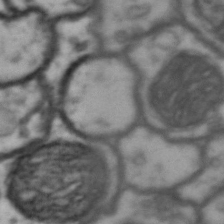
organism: Drosophila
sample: Brain